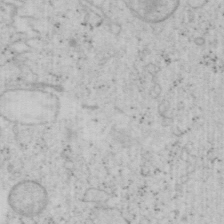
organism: Human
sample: HeLa cells